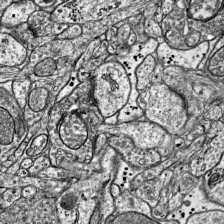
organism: Mouse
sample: Visual Cortex